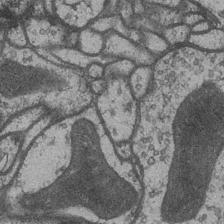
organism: Drosophila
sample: Optic medulla